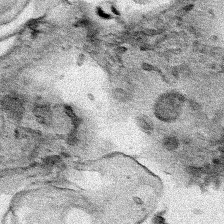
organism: Human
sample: Mitochondria in HCT116 cells